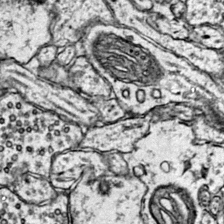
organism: Mouse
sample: Primary visual cortex